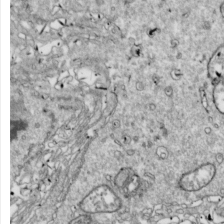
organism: Drosophila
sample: Cell division; meiosis; drosophila spermatocytes